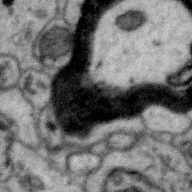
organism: Zebra finch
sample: Brain